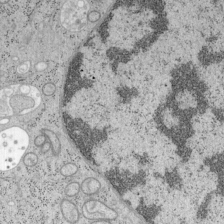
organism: Mouse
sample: OT-I killer T cells with ID8 ovarian cancer cells